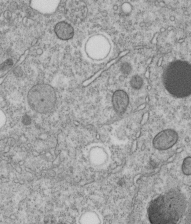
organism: C. elegans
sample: C. elegans embryo early stage